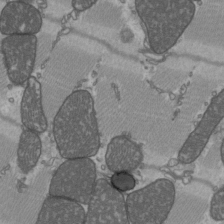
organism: C57BL Mouse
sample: Heart